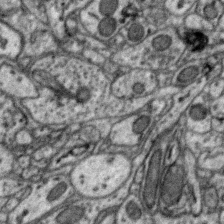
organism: Zebra finch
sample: Brain